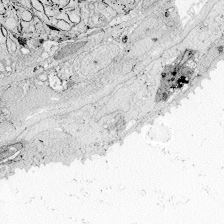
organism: Zebrafish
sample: Whole-Brain